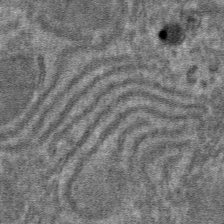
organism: Mouse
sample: Mouse hepatocytes